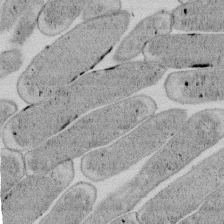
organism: E. coli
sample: Bacterial nucleoid